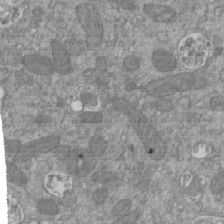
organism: Mouse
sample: ED-1 cell nuclei; centrioles